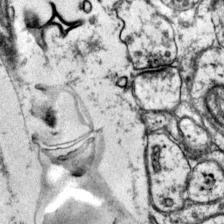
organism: Mouse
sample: Primary visual cortex